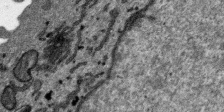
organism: Human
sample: Lung epithelial cells, uninfected (mock) control